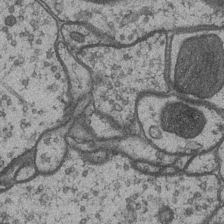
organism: Drosophila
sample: Optic medulla